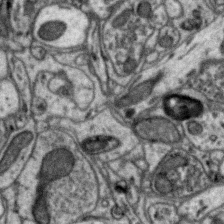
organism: Zebra finch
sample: Brain